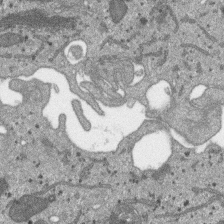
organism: Human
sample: Lung epithelial cells infected with SARS-CoV-2